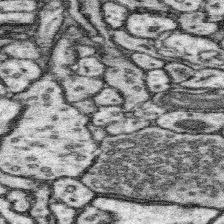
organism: Mouse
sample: Somatosensory cortex neuropil